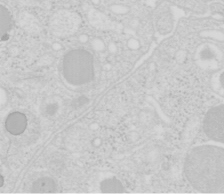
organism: Mouse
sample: Pancreas